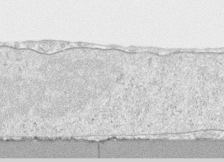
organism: Human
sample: CRL-1474